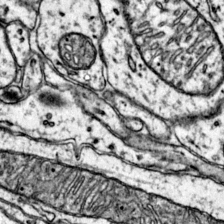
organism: Mouse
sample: Primary visual cortex